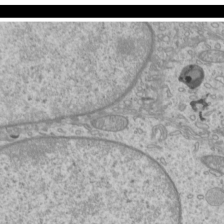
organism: Mouse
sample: Cilia; mouse epididymis